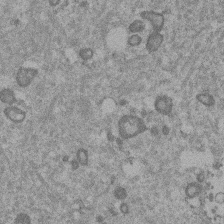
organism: Mouse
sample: Dividing mouse embryo 1 cell stage